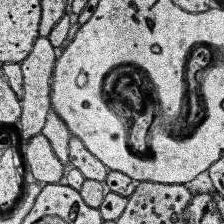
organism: Human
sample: Temporal Lobe